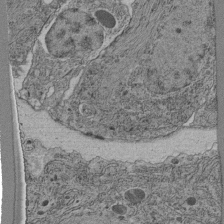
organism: C. elegans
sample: C. elegans pharynx